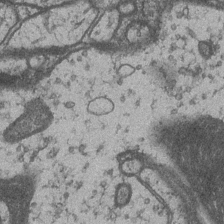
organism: Drosophila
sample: Optic medulla